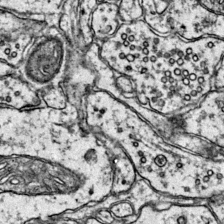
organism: Mouse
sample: Primary visual cortex